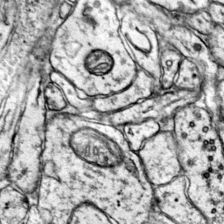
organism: Mouse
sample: Primary visual cortex